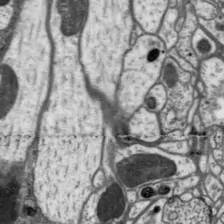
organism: Drosophila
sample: Protocerebral bridge